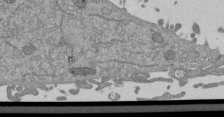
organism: Mouse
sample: ED-1 cell nuclei; centrioles